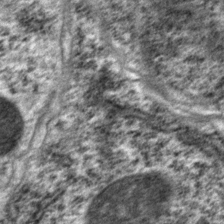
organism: P. pacificus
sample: Pharynx